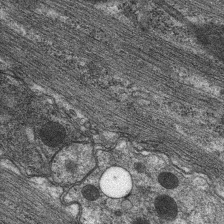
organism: C. elegans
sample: Pharynx